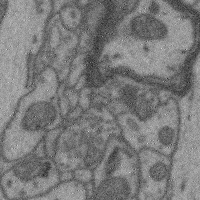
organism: Mouse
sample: Cerebral cortex